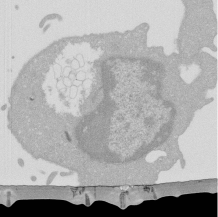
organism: Mouse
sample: Activated Pmel transgenic CD8+ T Cells